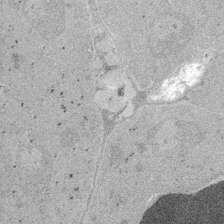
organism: Embia sp.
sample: Silk gland